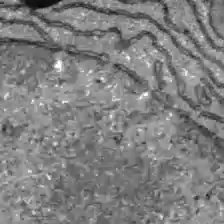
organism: C57BL Mouse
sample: Liver